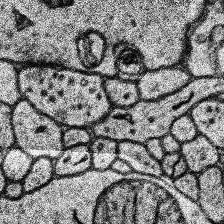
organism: Human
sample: Temporal Lobe